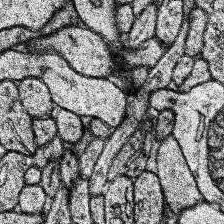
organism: Human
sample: Temporal Lobe